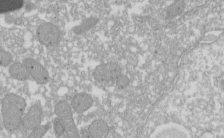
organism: Xenopus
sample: Cilia; centrioles in frog embryo cells